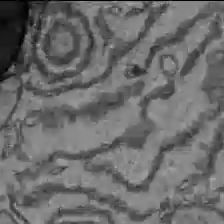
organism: C57BL Mouse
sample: Liver